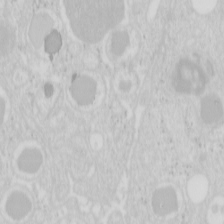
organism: Mouse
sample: Pancreas